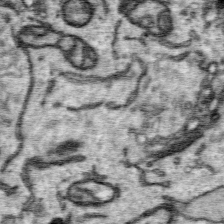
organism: Human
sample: HeLa cells